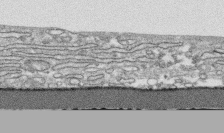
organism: Human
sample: CRL-1474